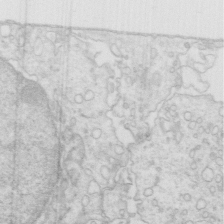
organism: Mouse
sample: Multiciliated cells